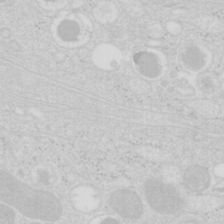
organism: Mouse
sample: Pancreas